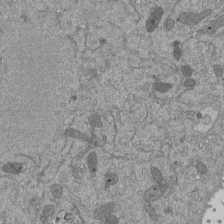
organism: Mouse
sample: ED-1 cell nuclei; centrioles